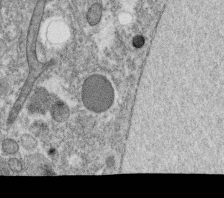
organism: C. elegans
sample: C. elegans oocyte; sperm cells